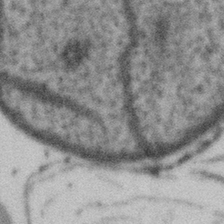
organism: Gemmata obscuriglobus